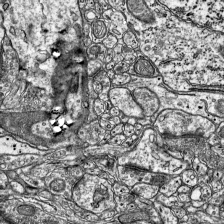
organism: Mouse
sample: Visual Cortex